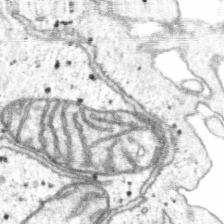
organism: Human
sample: HeLa cells